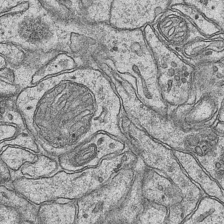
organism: Mouse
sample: CA1 Hippocampus